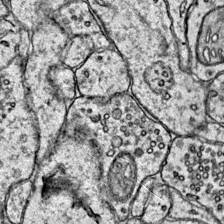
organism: Mouse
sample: Primary visual cortex